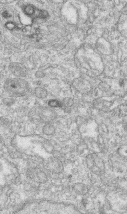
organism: Human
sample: HeLa cell HIV synapse